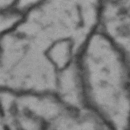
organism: Drosophila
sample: Brain